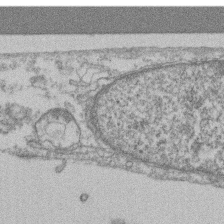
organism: Mouse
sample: T cell stromal cell synapse